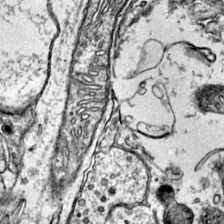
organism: Mouse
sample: Primary visual cortex